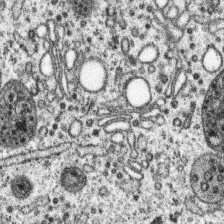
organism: Human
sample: HeLa cells